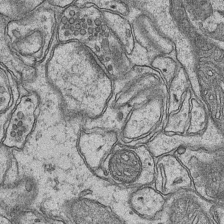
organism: Mouse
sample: CA1 Hippocampus